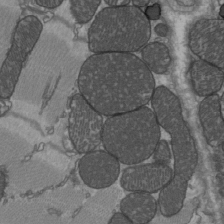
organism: C57BL Mouse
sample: Heart